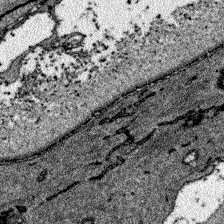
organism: Zebrafish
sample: Larval olfactory bulb